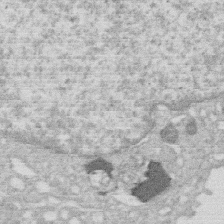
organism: Human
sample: Macrophage cells